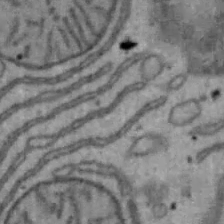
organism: Mouse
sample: Liver